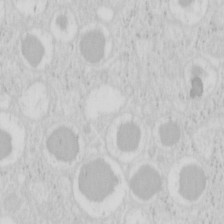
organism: Mouse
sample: Pancreas